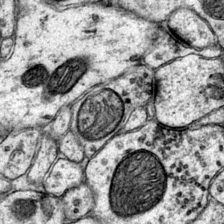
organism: Mouse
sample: Primary visual cortex